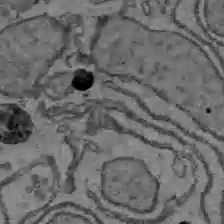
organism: C57BL Mouse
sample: Liver